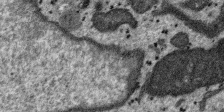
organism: Human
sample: Lung epithelial cells, uninfected (mock) control